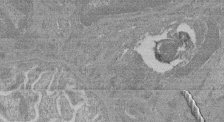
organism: Mouse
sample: Glomerulus